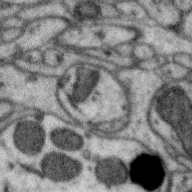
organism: Zebra finch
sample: Brain